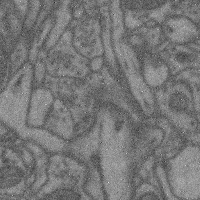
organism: Mouse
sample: Cerebral cortex